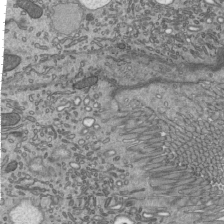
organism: Mouse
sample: Mouse epididymis efferent ductule cilia